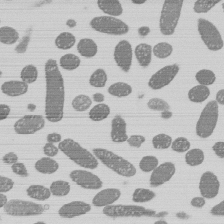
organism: E. coli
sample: Bacterial nucleoid